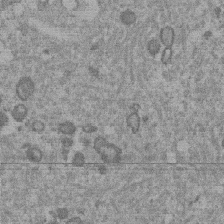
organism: Mouse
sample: Dividing mouse embryo 1 cell stage